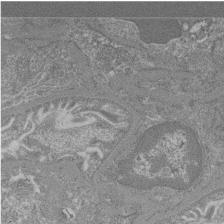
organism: Mouse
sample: Glomerulus